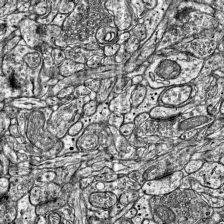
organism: Mouse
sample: Visual Cortex